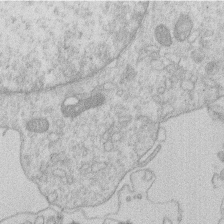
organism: Human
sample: Macrophage cells